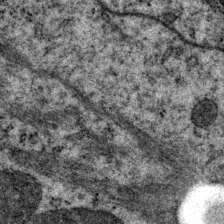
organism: P. pacificus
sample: Pharynx